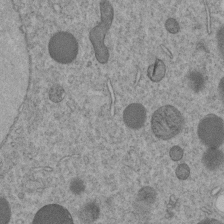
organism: C. elegans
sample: C. elegans embryo early stage